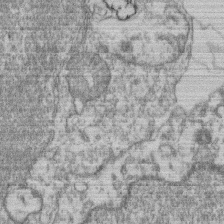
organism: Mouse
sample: T cell stromal cell synapse